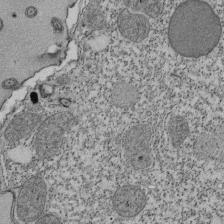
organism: Tetrahymena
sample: Cilia in tetrahymena